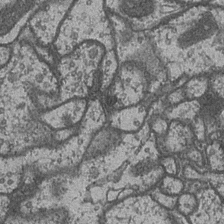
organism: Drosophila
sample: Optic medulla